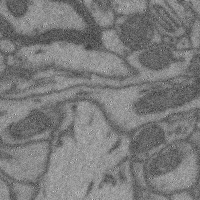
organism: Mouse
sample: Cerebral cortex